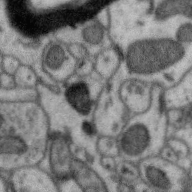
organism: Zebra finch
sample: Brain